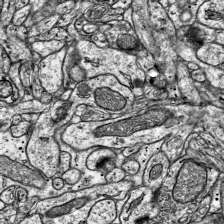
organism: Mouse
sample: Visual Cortex